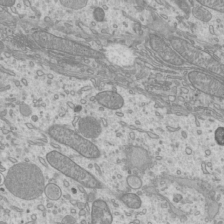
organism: Mouse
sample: Cilia; mouse epididymis